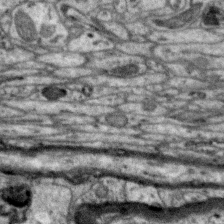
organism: Zebra finch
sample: Brain